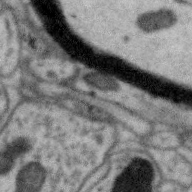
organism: Zebra finch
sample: Brain